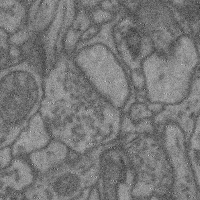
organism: Mouse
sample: Cerebral cortex